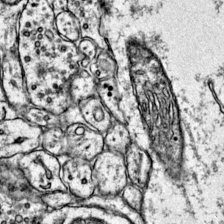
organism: Mouse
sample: Primary visual cortex